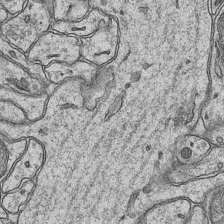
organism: Mouse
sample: CA1 Hippocampus